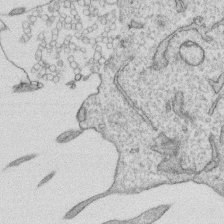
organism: Human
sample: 1205lu cells